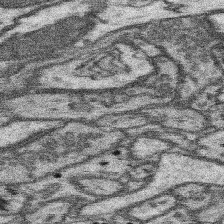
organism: Mouse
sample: Somatosensory cortex neuropil